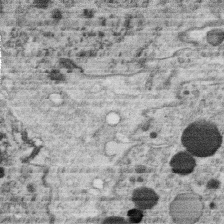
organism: C. elegans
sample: C. elegans oocyte; sperm cells